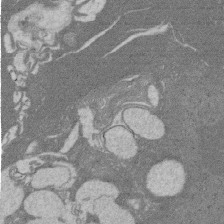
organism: Rat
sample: Salivary granule